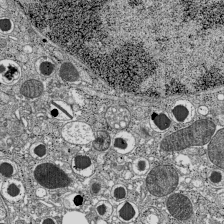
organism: C57BL Mouse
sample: Pancreatic islet